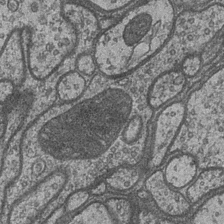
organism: Drosophila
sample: Optic medulla